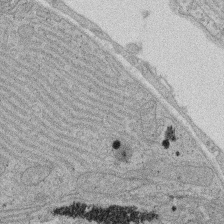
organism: Rat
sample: Salivary granule